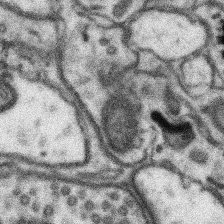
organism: Mouse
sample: Somatosensory cortex neuropil